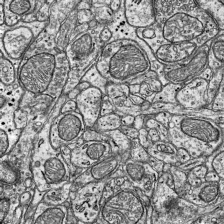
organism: Mouse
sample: Visual Cortex